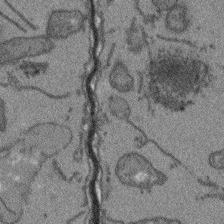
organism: Arabidopsis thaliana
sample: Root tip